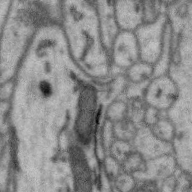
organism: Zebra finch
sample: Brain